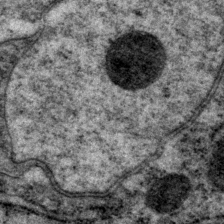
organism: P. pacificus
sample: Pharynx